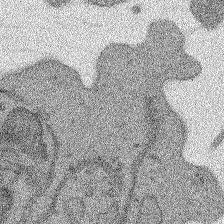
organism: Human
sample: HeLa cells